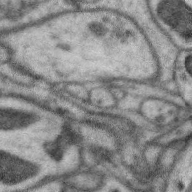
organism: Zebra finch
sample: Brain